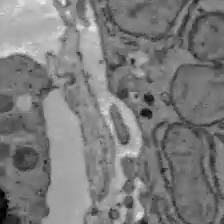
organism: C57BL Mouse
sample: Liver